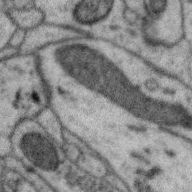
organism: Zebra finch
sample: Brain